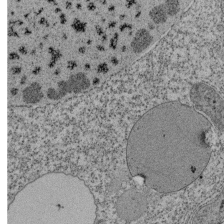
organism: Tetrahymena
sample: Cilia in tetrahymena